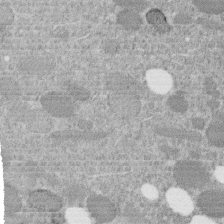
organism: C. elegans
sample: C. elegans embryo early stage